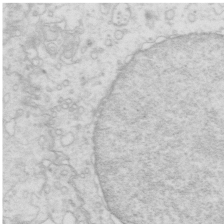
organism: Mouse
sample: Multiciliated cells